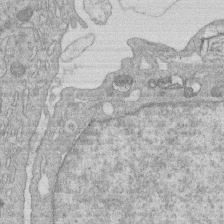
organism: Human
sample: Macrophage cells